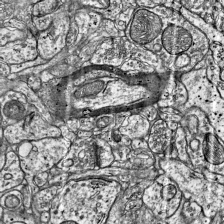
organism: Mouse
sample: Visual Cortex